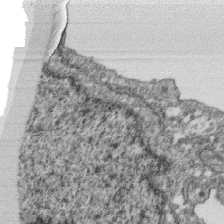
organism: African green monkey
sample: Vero E6 cells infected with SARS-CoV-2